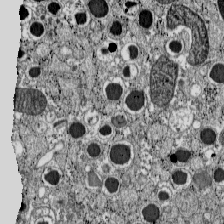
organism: C57BL Mouse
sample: Pancreatic islet